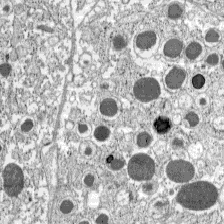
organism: C57BL Mouse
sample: Pancreatic islet